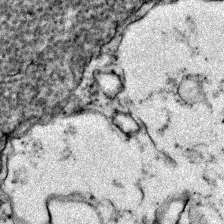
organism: Zebrafish